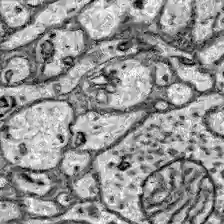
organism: Zebrafish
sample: Brain